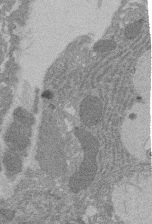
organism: Rat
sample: Salivary granule